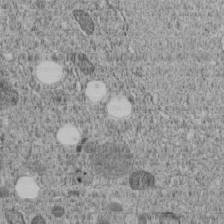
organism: C. elegans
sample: C. elegans embryo early stage